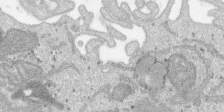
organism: Human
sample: Lung epithelial cells infected with SARS-CoV-2